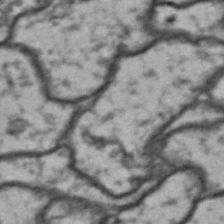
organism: Drosophila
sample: Brain